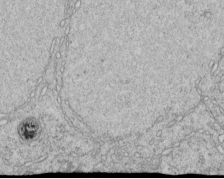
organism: C. elegans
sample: C. elegans embryo early stage